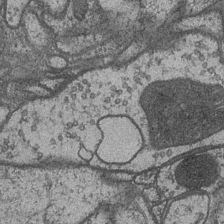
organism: Drosophila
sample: Optic medulla